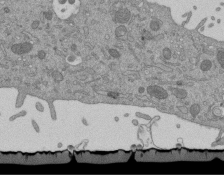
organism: Mouse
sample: ED-1 cell nuclei; centrioles